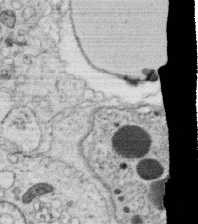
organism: C. elegans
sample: C. elegans oocyte; sperm cells